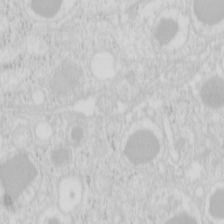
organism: Mouse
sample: Pancreas